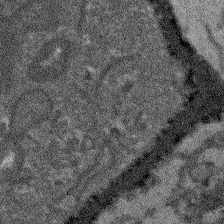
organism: Arabidopsis thaliana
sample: Root tip